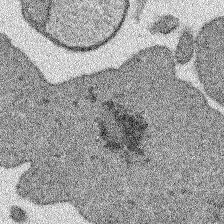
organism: Human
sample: HeLa cells